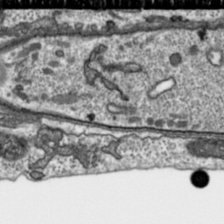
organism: Toxoplasma gondii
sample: Parasites in a vacuole inside a host cell